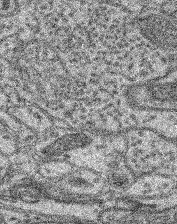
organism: Mouse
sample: Retina